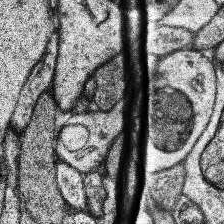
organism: Human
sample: Temporal Lobe